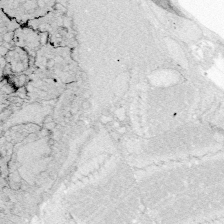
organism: Zebrafish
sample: Whole-Brain